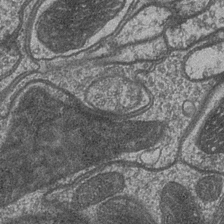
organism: Drosophila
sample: Optic medulla